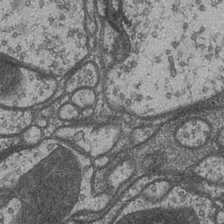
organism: Drosophila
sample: Optic medulla